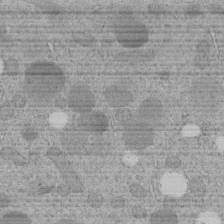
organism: C. elegans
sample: C. elegans embryo early stage